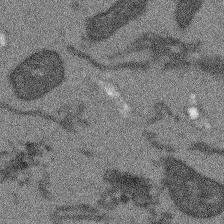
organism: Arabidopsis thaliana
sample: Root tip